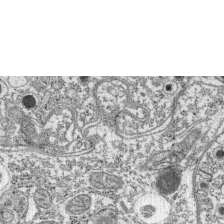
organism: C57BL Mouse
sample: Pancreatic islet